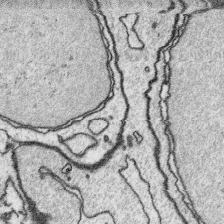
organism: Platynereis dumerilii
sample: Parapodia